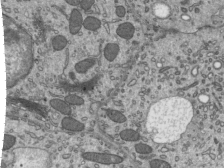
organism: Mouse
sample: Mouse epididymis efferent ductule cilia